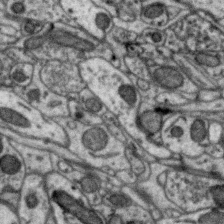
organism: Zebra finch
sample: Brain